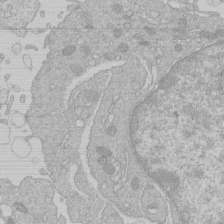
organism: Human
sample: Macrophage cells